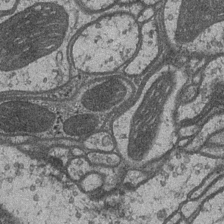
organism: Drosophila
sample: Optic medulla